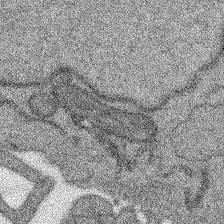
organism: Human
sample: HeLa cells